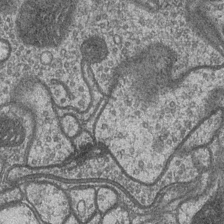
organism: Drosophila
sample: Optic medulla